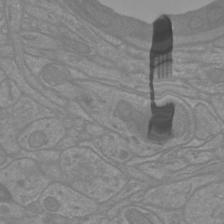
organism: Mouse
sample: Cortical neurons